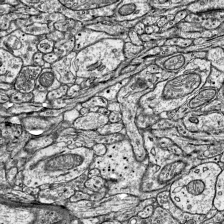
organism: Mouse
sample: Visual Cortex